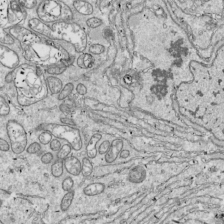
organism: Drosophila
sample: Cell division; meiosis; drosophila spermatocytes